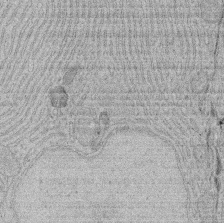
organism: Rat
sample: Salivary granule